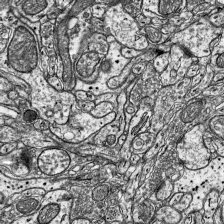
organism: Mouse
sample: Visual Cortex